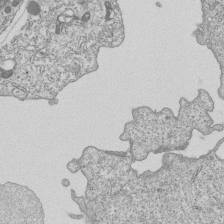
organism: Human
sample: MDA-MB-231 cells